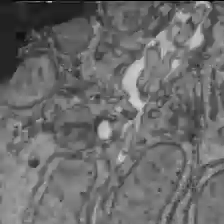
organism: C57BL Mouse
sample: Liver